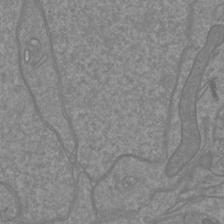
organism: Mouse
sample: Cortical neurons